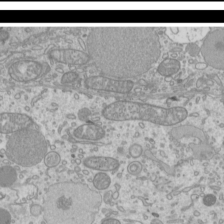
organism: Mouse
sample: Cilia; mouse epididymis